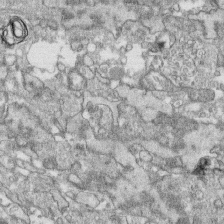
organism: Human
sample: CRL-1474